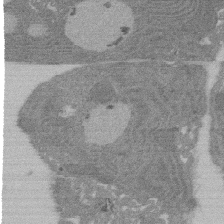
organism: Rat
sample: Salivary granule